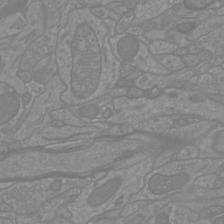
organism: Mouse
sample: Cortical neurons